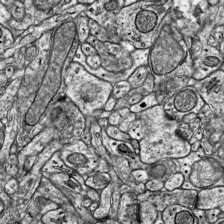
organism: Mouse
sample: Visual Cortex